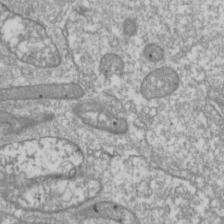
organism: Drosophila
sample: Cell division; meiosis; drosophila spermatocytes